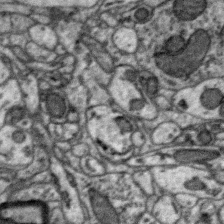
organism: Zebra finch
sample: Brain